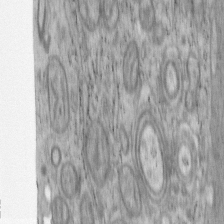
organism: Human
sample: HeLa cells